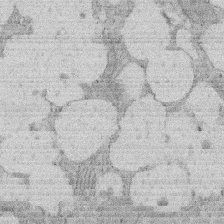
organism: Rat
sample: Salivary granule